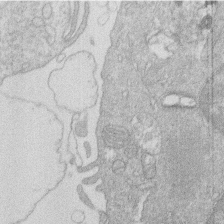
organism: Human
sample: Macrophage cells